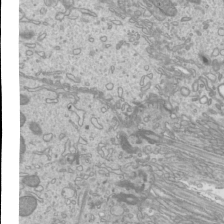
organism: Mouse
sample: Cilia; mouse epididymis